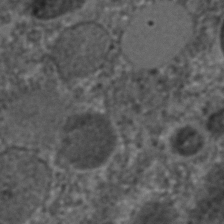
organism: C. elegans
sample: C. elegans embryo